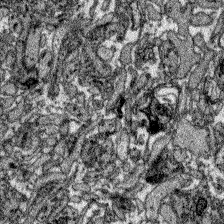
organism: Zebrafish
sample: Larval olfactory bulb